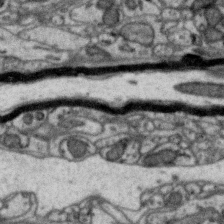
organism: Zebra finch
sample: Brain